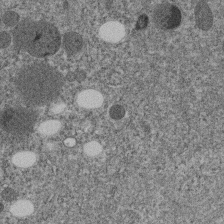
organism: C. elegans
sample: C. elegans embryo early stage